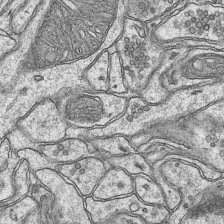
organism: Mouse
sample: CA1 Hippocampus